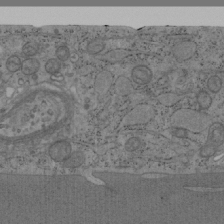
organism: Human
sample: HeLa cells